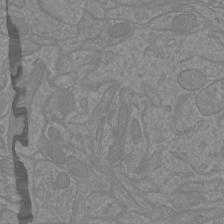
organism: Mouse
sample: Cortical neurons